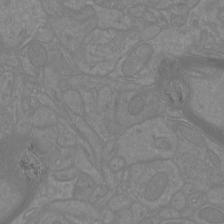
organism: Mouse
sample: Cortical neurons